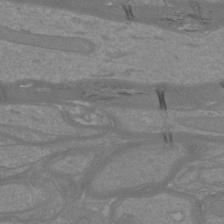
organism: Mouse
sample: Cortical neurons